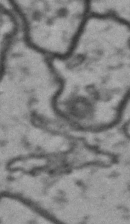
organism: Drosophila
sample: Brain